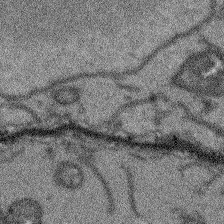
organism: Arabidopsis thaliana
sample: Root tip